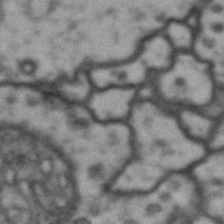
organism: Drosophila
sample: Brain